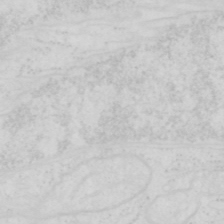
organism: Human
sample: SUM-159 cell